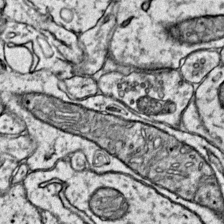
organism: Mouse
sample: Primary visual cortex